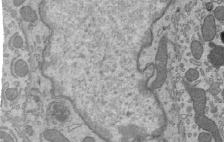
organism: Mouse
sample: Mouse epididymis efferent ductule cilia